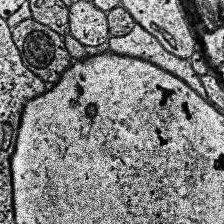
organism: Human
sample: Temporal Lobe